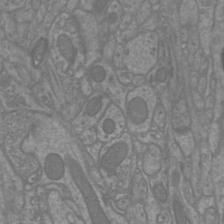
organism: Mouse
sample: Cortical neurons